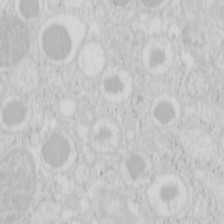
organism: Mouse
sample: Pancreas